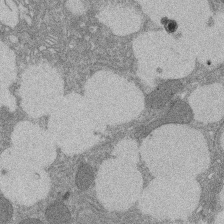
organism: Rat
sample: Salivary granule